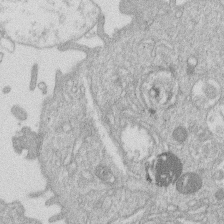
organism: Human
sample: Macrophage cells